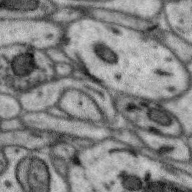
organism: Zebra finch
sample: Brain